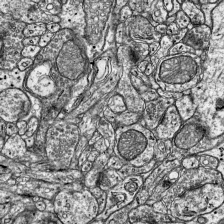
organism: Mouse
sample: Visual Cortex